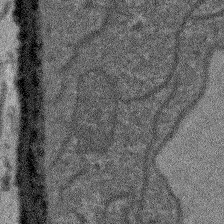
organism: Arabidopsis thaliana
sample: Root tip